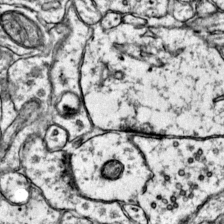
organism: Mouse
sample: Primary visual cortex